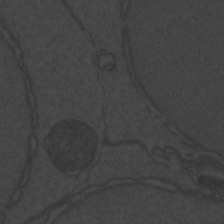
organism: Zebrafish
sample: Macrophage infected with Toxoplasma gondii